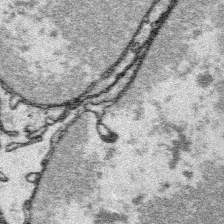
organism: Platynereis dumerilii